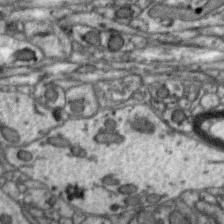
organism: Zebra finch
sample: Brain